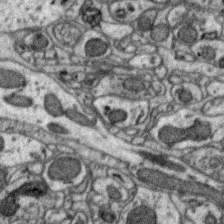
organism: Zebra finch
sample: Brain